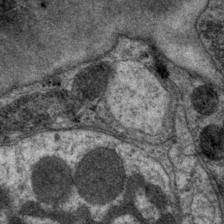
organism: P. pacificus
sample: Pharynx